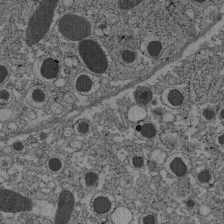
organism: C57BL Mouse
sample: Pancreatic islet